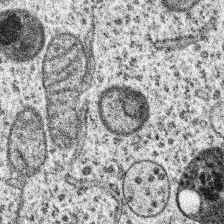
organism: Human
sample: HeLa cells